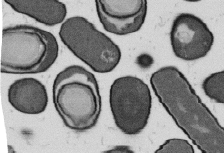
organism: B. subtilis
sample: Bacterial spore